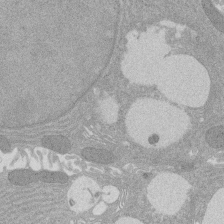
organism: Rat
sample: Salivary granule